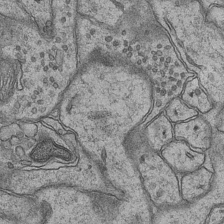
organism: Mouse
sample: CA1 Hippocampus